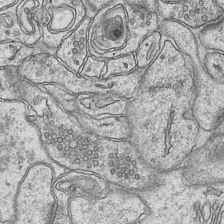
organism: Mouse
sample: CA1 Hippocampus